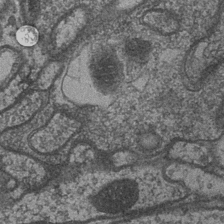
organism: Drosophila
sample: Optic medulla